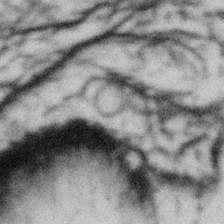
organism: Gemmata obscuriglobus